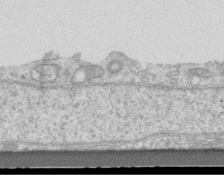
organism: Mouse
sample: Centriole in ependymal cells